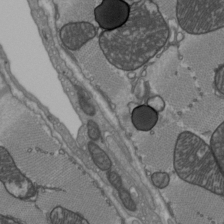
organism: C57BL Mouse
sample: Heart